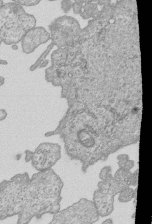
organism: Human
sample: MDA-MB-231 cells